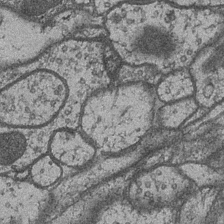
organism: Drosophila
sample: Optic medulla